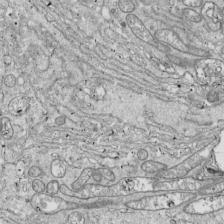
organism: Drosophila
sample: Cell division; meiosis; drosophila spermatocytes